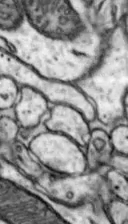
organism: Mouse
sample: Nucleus accumbens